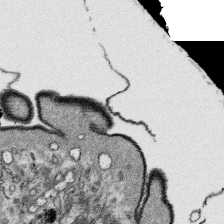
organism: Platynereis dumerilii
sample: Parapodia